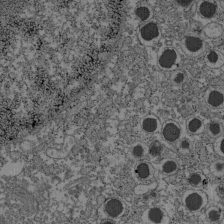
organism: C57BL Mouse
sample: Pancreatic islet